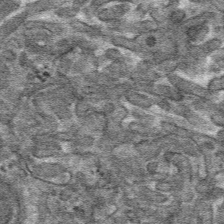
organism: Mouse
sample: Mouse hepatocytes